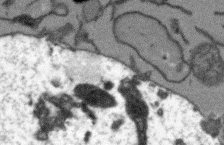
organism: Arabidopsis thaliana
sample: Root tip